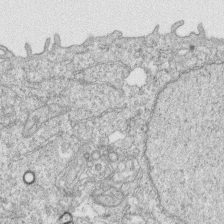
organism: Human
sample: HeLa cell HIV synapse